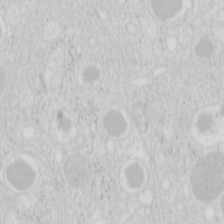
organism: Mouse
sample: Pancreas